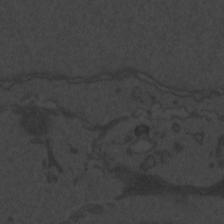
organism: Zebrafish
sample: Macrophage infected with Toxoplasma gondii